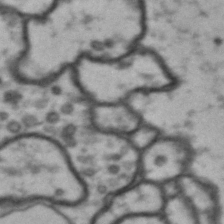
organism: Drosophila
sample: Brain